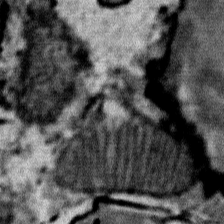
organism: Mouse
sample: Mouse Salivary gland